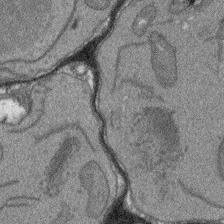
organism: Arabidopsis thaliana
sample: Root tip